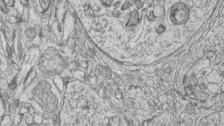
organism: Zebrafish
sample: synaptic ribbons in rod cells and cone cells